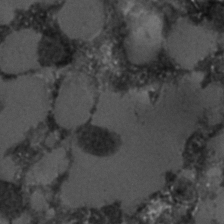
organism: C. elegans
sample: C. elegans embryo